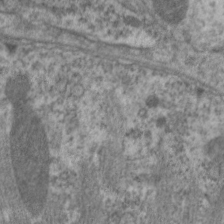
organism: C. elegans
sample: Pharynx